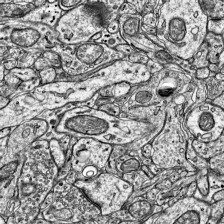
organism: Mouse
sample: Visual Cortex